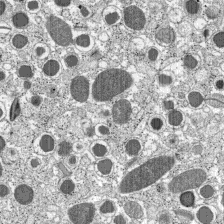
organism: C57BL Mouse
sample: Pancreatic islet